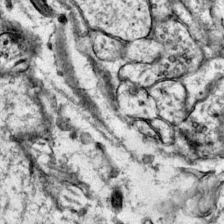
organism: Mouse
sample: Primary visual cortex